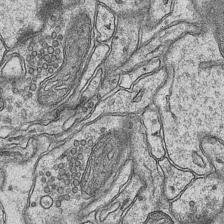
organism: Mouse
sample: CA1 Hippocampus